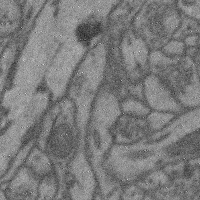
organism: Mouse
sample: Cerebral cortex